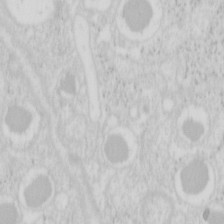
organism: Mouse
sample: Pancreas